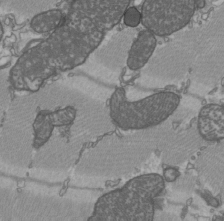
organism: C57BL Mouse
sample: Heart